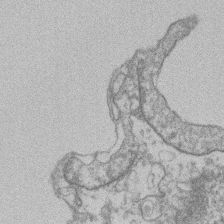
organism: Mouse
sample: T cell stromal cell synapse